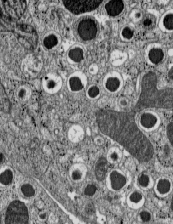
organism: C57BL Mouse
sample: Pancreatic islet